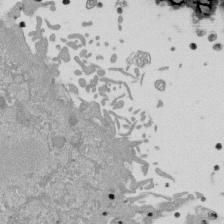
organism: Mouse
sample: ED-1 cell nuclei; centrioles